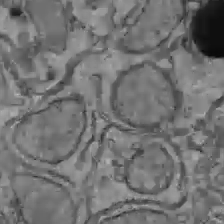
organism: C57BL Mouse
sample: Liver